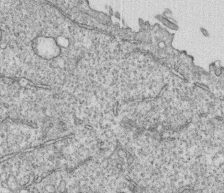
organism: Human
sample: HeLa cell HIV synapse